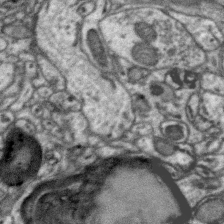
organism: Zebra finch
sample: Brain